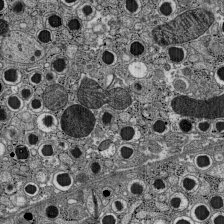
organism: C57BL Mouse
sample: Pancreatic islet